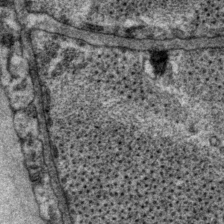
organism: P. pacificus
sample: Pharynx